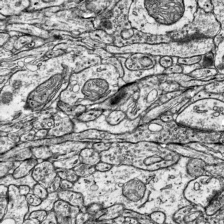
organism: Mouse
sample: Visual Cortex